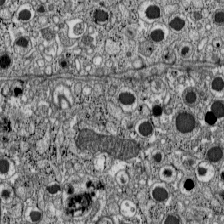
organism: C57BL Mouse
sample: Pancreatic islet